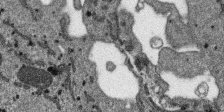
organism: Human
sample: Lung epithelial cells infected with SARS-CoV-2